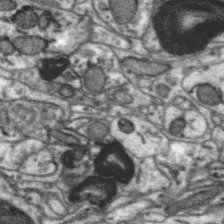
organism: Zebra finch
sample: Brain